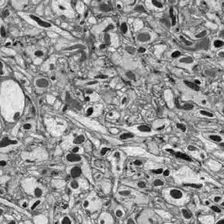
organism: Drosophila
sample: Optic lobe